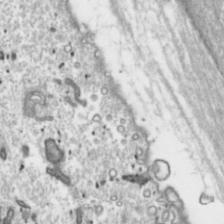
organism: Toxoplasma gondii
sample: Parasites in a vacuole inside a host cell